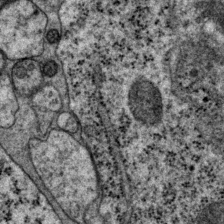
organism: P. pacificus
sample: Pharynx